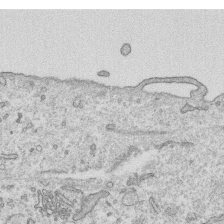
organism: Human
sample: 1205lu cells